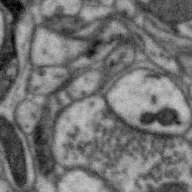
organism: Zebra finch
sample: Brain